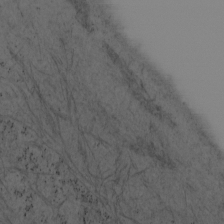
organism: Mouse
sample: OT-I killer T cells with ID8 ovarian cancer cells